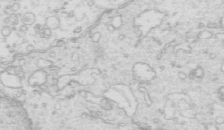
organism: Mouse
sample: Multiciliated cells